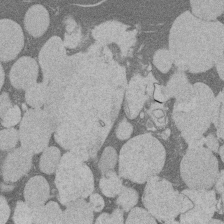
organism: Rat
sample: Salivary granule